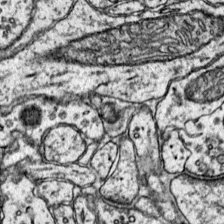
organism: Mouse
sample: Primary visual cortex